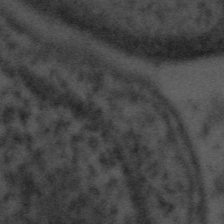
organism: Tuwongella immobilis